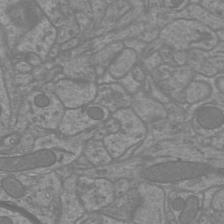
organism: Mouse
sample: Cortical neurons